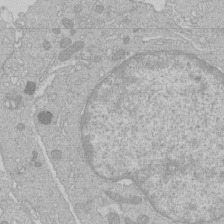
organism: Human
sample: Macrophage cells